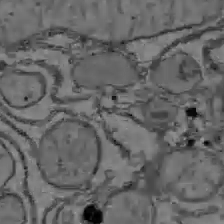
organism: C57BL Mouse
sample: Liver